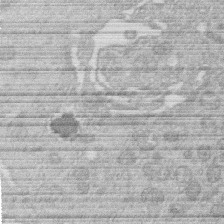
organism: Human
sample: Macrophage cells